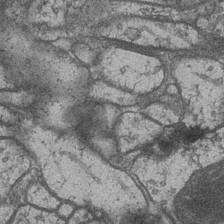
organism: Drosophila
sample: Optic medulla